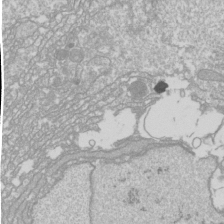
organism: Drosophila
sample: Cell division; meiosis; drosophila spermatocytes